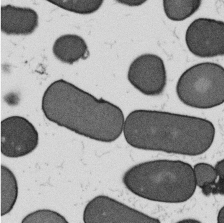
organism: B. subtilis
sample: Bacterial spore